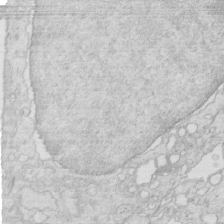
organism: Mouse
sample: Multiciliated cells